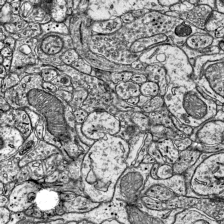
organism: Mouse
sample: Visual Cortex